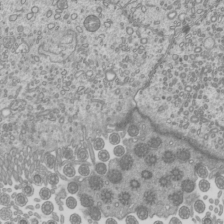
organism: Mouse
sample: Cilia; mouse epididymis